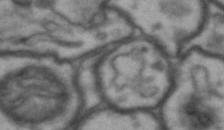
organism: Drosophila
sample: Brain